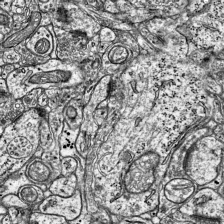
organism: Mouse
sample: Visual Cortex